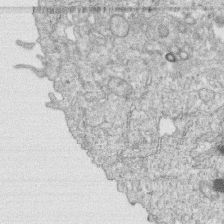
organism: Human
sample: HeLa cell HIV synapse